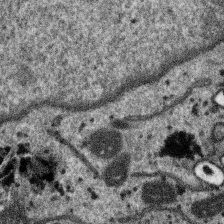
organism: Human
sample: Lung epithelial cells infected with SARS-CoV-2